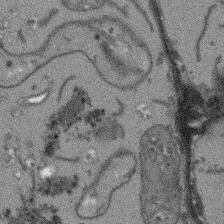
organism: Arabidopsis thaliana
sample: Root tip